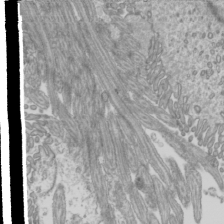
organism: Mouse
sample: Cilia; mouse epididymis